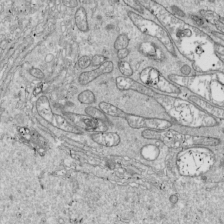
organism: Drosophila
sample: Cell division; meiosis; drosophila spermatocytes